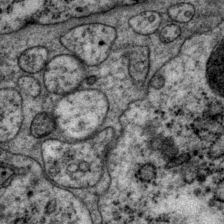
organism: P. pacificus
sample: Pharynx